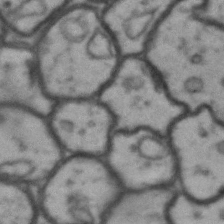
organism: Drosophila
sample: Brain